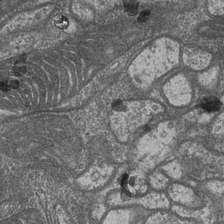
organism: Drosophila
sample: Optic medulla